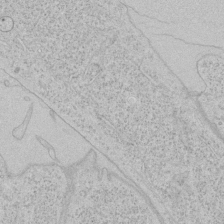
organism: Human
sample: Mitochondria in HCT116 cells